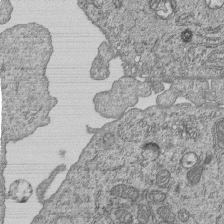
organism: Human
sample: MDA-MB-231 cells